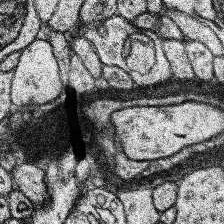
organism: Human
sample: Temporal Lobe